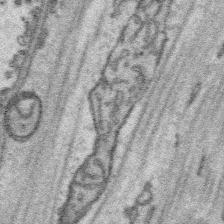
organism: Platynereis dumerilii